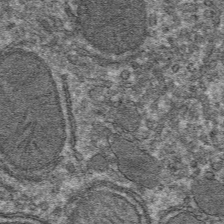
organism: Mouse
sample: Mouse hepatocytes